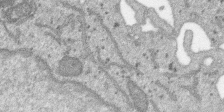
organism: Human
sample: Lung epithelial cells infected with SARS-CoV-2